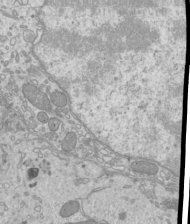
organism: Mouse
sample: Cilia; mouse epididymis